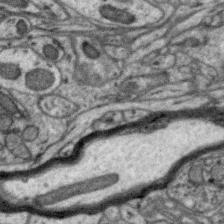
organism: Zebra finch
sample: Brain